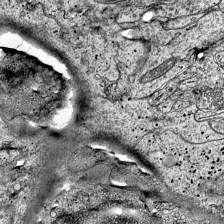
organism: Mouse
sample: Visual Cortex